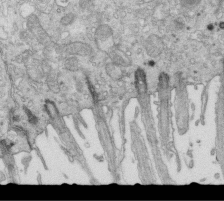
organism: Mouse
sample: Multiciliated cells